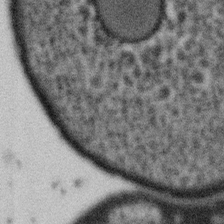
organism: Gemmata obscuriglobus